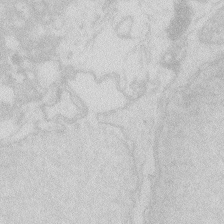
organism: Zebrafish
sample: Macrophage